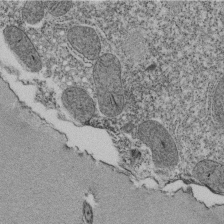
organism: Tetrahymena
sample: Cilia in tetrahymena